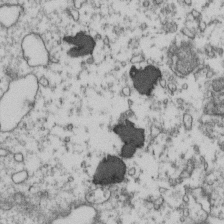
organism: Human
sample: Activated Jurkat CD4+ T cells